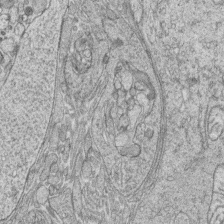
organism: Zebrafish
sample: synaptic ribbons in rod cells and cone cells